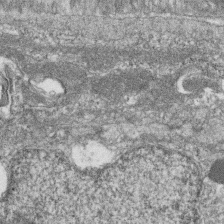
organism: Zebrafish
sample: Cilia; retinal pigment epithelium